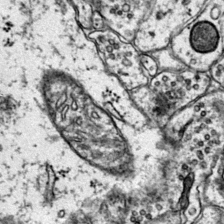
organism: Mouse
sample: Primary visual cortex